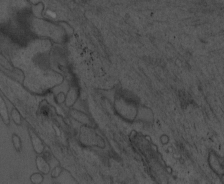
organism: Mouse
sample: OT-I killer T cells with ID8 ovarian cancer cells